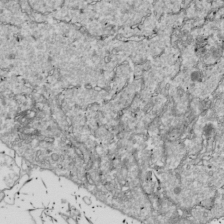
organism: Drosophila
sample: Cell division; meiosis; drosophila spermatocytes